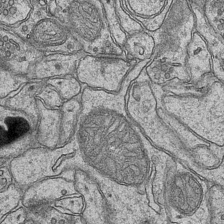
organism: Mouse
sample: CA1 Hippocampus